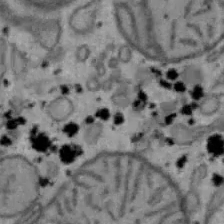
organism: Mouse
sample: Liver